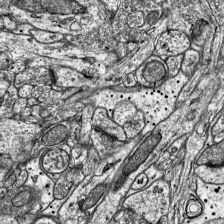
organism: Mouse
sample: Visual Cortex